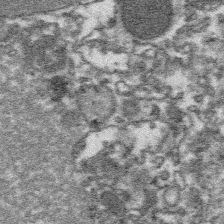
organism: Platynereis dumerilii